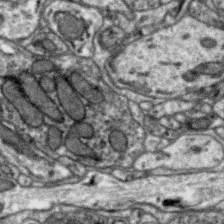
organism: Zebra finch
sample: Brain